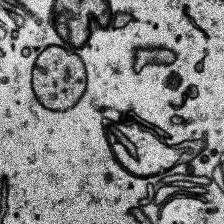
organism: Human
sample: Temporal Lobe